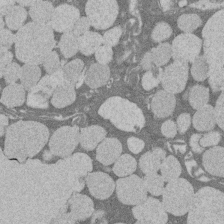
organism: Rat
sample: Salivary granule